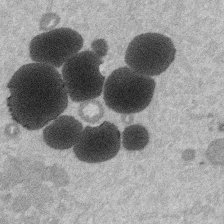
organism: Mouse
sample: Dividing mouse embryo 1 cell stage